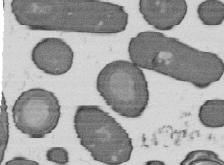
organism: B. subtilis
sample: Bacterial spore